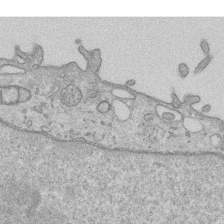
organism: Human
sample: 1205lu cells